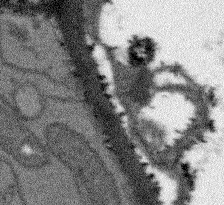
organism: Arabidopsis thaliana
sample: Root tip